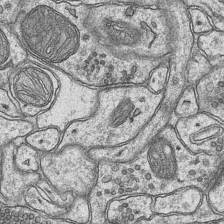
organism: Mouse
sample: CA1 Hippocampus